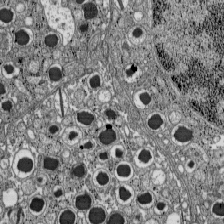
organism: C57BL Mouse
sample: Pancreatic islet